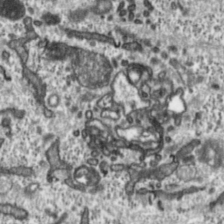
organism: Toxoplasma gondii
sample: Parasites in a vacuole inside a host cell